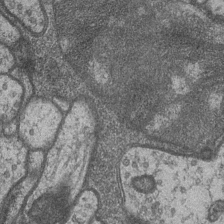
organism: Drosophila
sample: Optic medulla